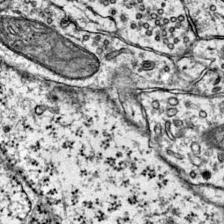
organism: Mouse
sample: Primary visual cortex